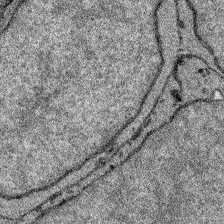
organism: Zebrafish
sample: Larval olfactory bulb